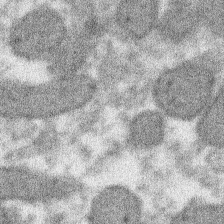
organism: Xenopus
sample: Cilia; centrioles in frog embryo cells